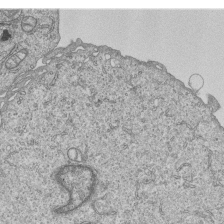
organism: Human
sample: MDA-MB-231 cells